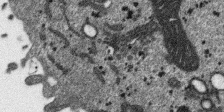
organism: Human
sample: Lung epithelial cells infected with SARS-CoV-2